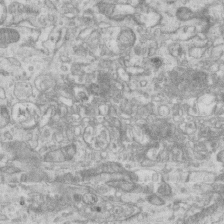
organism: Mouse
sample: Centriole in ependymal cells